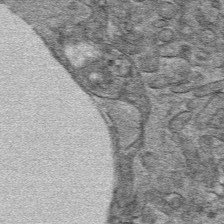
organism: Mouse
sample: Mouse hepatocytes